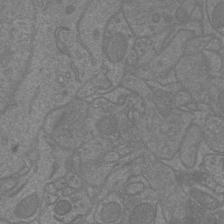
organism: Mouse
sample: Cortical neurons